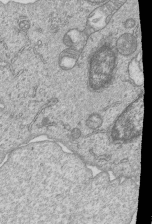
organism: Human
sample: MDA-MB-231 cells